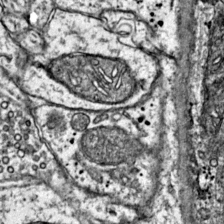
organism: Mouse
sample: Primary visual cortex